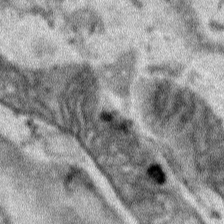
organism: Human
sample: Mitochondria in HCT116 cells